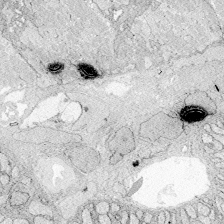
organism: Zebrafish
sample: Whole-Brain